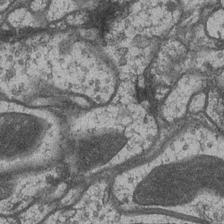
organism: Drosophila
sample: Optic medulla